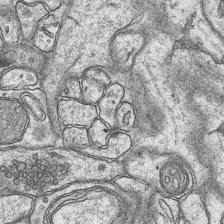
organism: Mouse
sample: CA1 Hippocampus